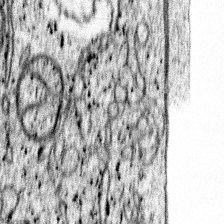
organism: Human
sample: HeLa cells